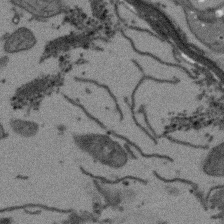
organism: Arabidopsis thaliana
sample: Root tip